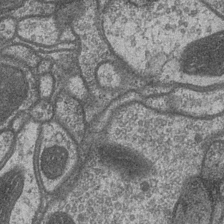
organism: Drosophila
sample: Optic medulla